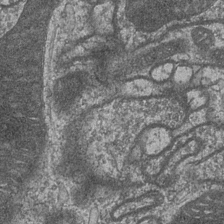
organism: Drosophila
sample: Optic medulla